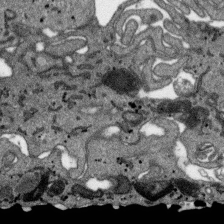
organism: Human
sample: Lung epithelial cells, uninfected (mock) control